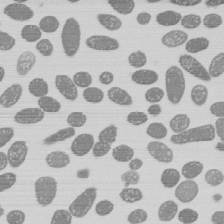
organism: E. coli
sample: Bacterial nucleoid